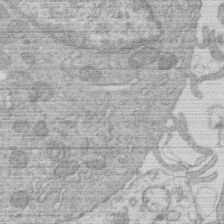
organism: Human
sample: Macrophage cells